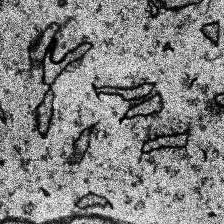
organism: Human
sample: Temporal Lobe